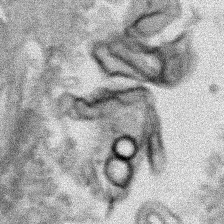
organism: Human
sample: Mitochondria in HCT116 cells